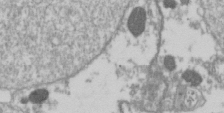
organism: Drosophila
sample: Cell division; meiosis; drosophila spermatocytes